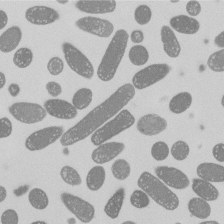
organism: E. coli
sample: Bacterial nucleoid